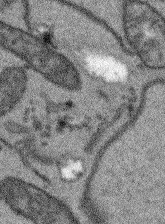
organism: Arabidopsis thaliana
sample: Root tip